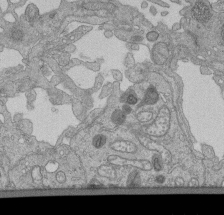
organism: Human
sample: Retinal organoid Rod and Cone cells